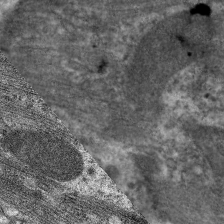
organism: C. elegans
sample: Pharynx